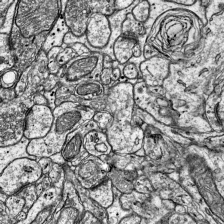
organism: Mouse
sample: Visual Cortex